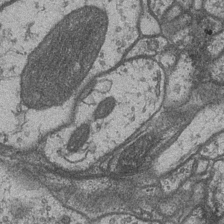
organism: Drosophila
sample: Optic medulla